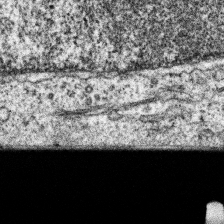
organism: Human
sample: HeLa cells